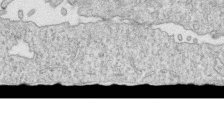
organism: Human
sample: HeLa cell HIV synapse